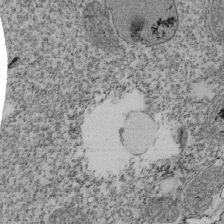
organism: Tetrahymena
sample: Cilia in tetrahymena